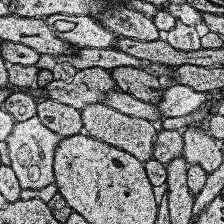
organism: Human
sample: Temporal Lobe